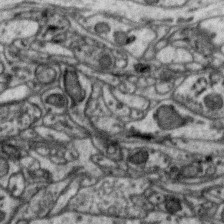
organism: Zebra finch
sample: Brain